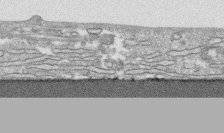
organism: Human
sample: CRL-1474